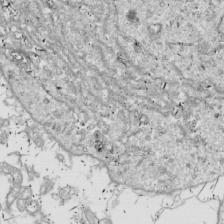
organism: Drosophila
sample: Cell division; meiosis; drosophila spermatocytes